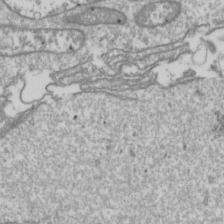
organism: Drosophila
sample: Cell division; meiosis; drosophila spermatocytes